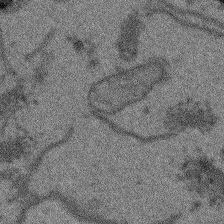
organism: Arabidopsis thaliana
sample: Root tip